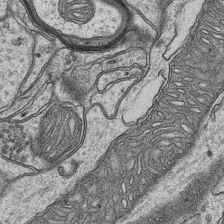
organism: Mouse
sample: CA1 Hippocampus